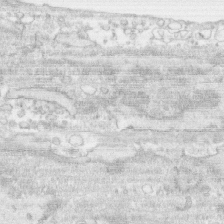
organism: Human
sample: CRL-1474